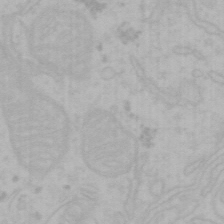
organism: Mouse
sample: Choroid plexus